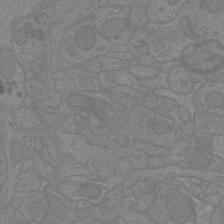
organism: Mouse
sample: Cortical neurons